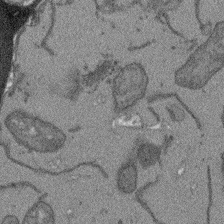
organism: Arabidopsis thaliana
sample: Root tip